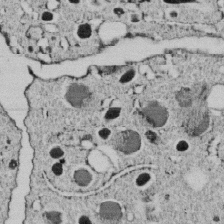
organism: C. elegans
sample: C. elegans embryo early stage